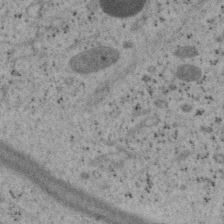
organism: Human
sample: HeLa cells